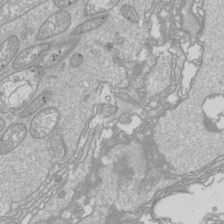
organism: Drosophila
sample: Cell division; meiosis; drosophila spermatocytes